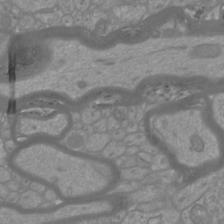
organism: Mouse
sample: Cortical neurons